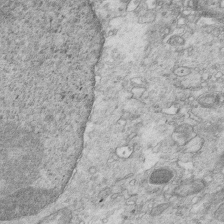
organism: Mouse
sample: Multiciliated cells